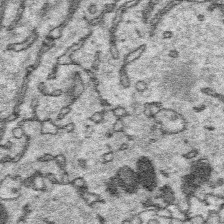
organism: Platynereis dumerilii